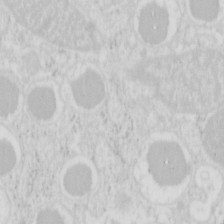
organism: Mouse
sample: Pancreas